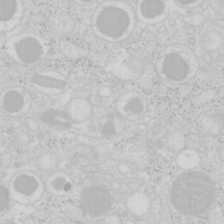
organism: Mouse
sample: Pancreas